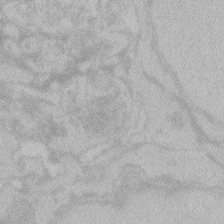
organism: Zebrafish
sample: Macrophage infected with Toxoplasma gondii